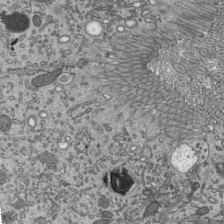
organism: Mouse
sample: Mouse epididymis efferent ductule cilia